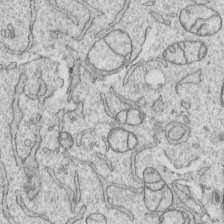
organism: Human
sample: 1205lu cells